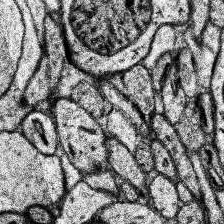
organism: Human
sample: Temporal Lobe